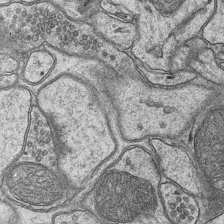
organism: Mouse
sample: CA1 Hippocampus